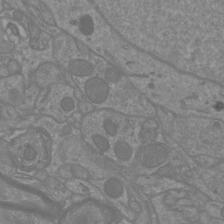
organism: Mouse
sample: Cortical neurons